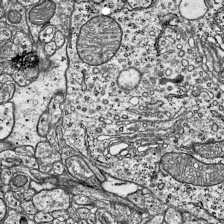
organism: Mouse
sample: Visual Cortex